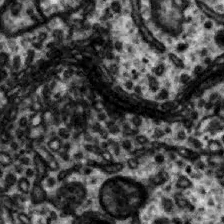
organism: Human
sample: HeLa cells